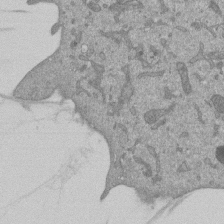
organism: Mouse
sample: ED-1 cell nuclei; centrioles